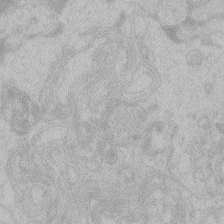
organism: Zebrafish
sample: Macrophage infected with Toxoplasma gondii